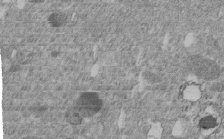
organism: C. elegans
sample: C. elegans embryo early stage